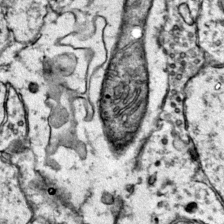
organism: Mouse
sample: Primary visual cortex